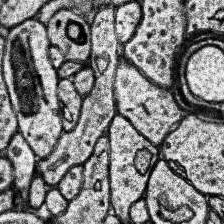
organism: Human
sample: Temporal Lobe